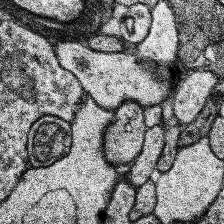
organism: Human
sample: Temporal Lobe